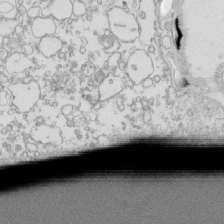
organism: Mouse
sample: Macrophages